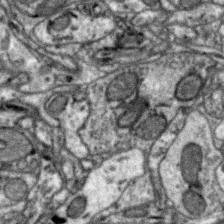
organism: Zebra finch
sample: Brain